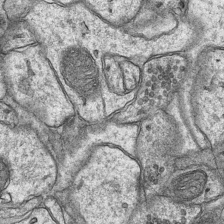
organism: Mouse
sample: CA1 Hippocampus